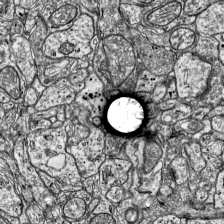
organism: Mouse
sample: Visual Cortex